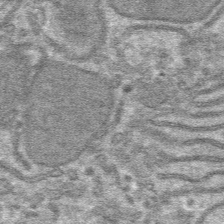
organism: Mouse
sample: Mouse hepatocytes